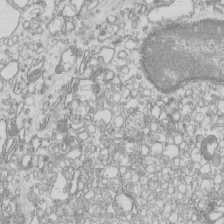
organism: Mouse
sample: Macrophages